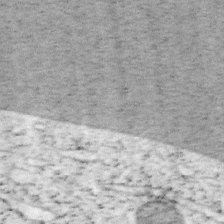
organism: Mouse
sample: OT-I killer T cells with ID8 ovarian cancer cells